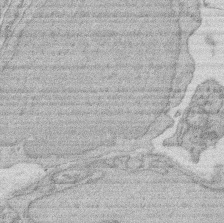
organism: Rat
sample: Salivary granule